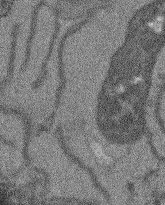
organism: Arabidopsis thaliana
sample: Root tip